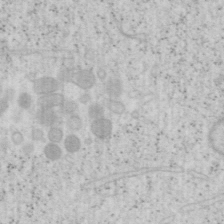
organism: Human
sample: HeLa cells